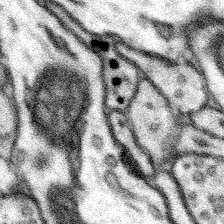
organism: Mouse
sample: Somatosensory cortex neuropil